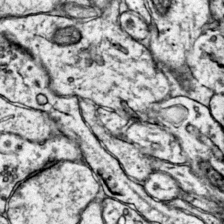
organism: Mouse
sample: Primary visual cortex